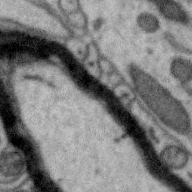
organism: Zebra finch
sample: Brain